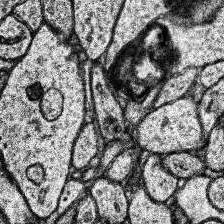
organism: Human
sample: Temporal Lobe